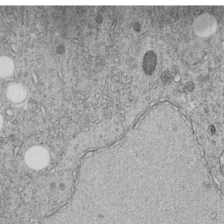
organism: C. elegans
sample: C. elegans embryo early stage